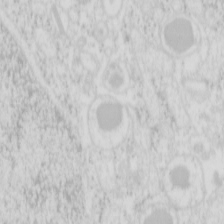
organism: Mouse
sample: Pancreas